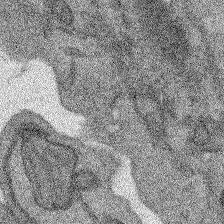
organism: Human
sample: HeLa cells